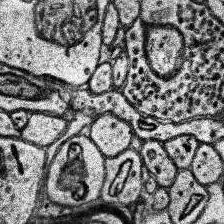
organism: Human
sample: Temporal Lobe